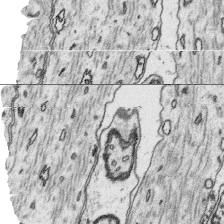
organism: Platynereis dumerilii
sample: Parapodia